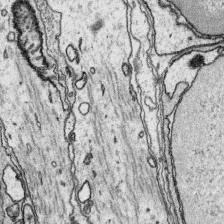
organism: Platynereis dumerilii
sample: Parapodia